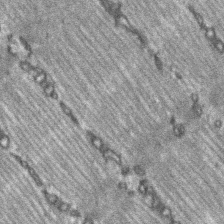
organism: C57BL Mouse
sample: Soleus